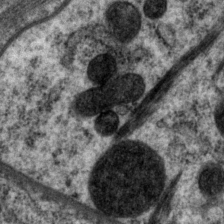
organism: P. pacificus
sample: Pharynx